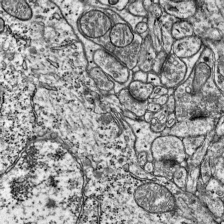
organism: Mouse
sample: Visual Cortex